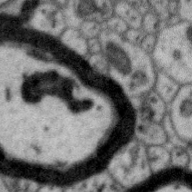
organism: Zebra finch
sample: Brain